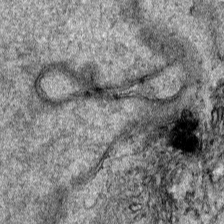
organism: Human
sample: Mitochondria in HCT116 cells